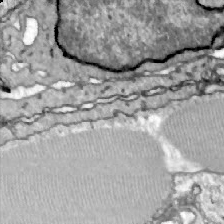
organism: Zebrafish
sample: Actinotrichia fibers